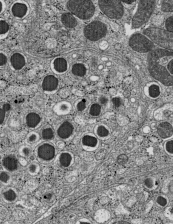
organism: C57BL Mouse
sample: Pancreatic islet